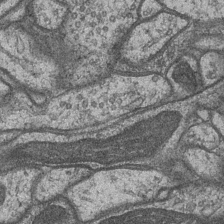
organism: Drosophila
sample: Optic medulla